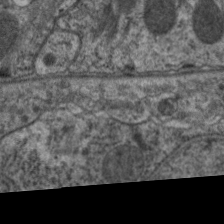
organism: C. elegans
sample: Pharynx